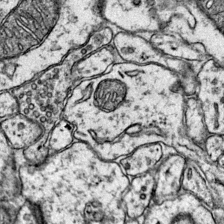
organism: Mouse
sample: Primary visual cortex